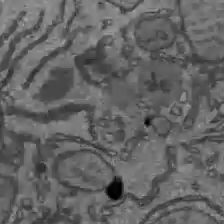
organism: C57BL Mouse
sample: Liver